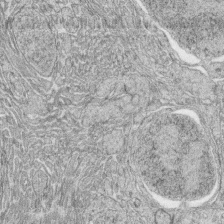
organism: Zebrafish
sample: synaptic ribbons in rod cells and cone cells